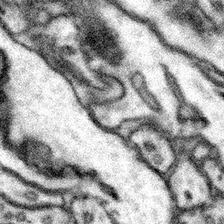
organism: Mouse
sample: Somatosensory cortex neuropil